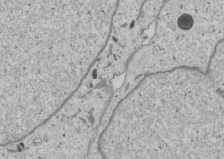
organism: Human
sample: Mitochondria in U2OS cells